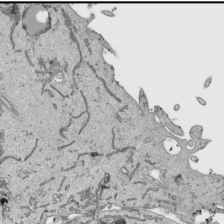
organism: Human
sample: Mitochondria in HCT116 cells